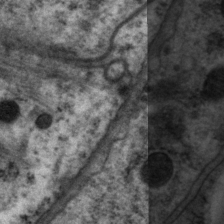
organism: P. pacificus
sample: Pharynx